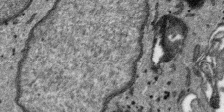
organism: Human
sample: Lung epithelial cells, uninfected (mock) control